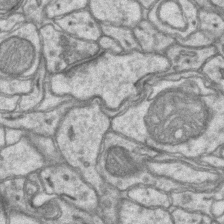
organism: Mouse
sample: CA1 Hippocampus